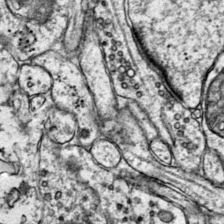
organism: Mouse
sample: Primary visual cortex